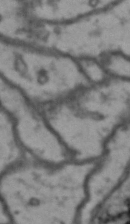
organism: Drosophila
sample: Brain